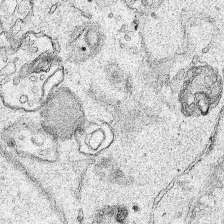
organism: Human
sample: Mitochondria in HCT116 cells